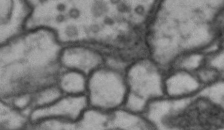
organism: Drosophila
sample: Brain